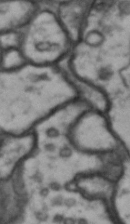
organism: Drosophila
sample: Brain